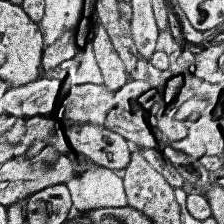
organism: Human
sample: Temporal Lobe